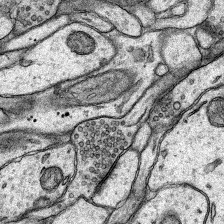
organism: Rat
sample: Hippocampus